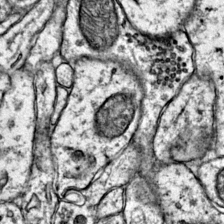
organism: Mouse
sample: Primary visual cortex